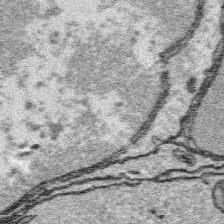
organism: Platynereis dumerilii